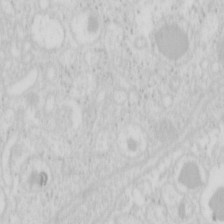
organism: Mouse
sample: Pancreas